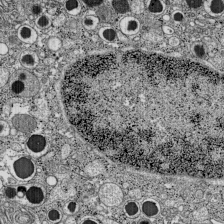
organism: C57BL Mouse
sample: Pancreatic islet